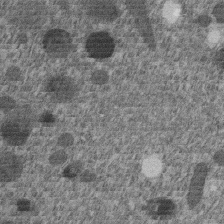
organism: C. elegans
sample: C. elegans embryo early stage